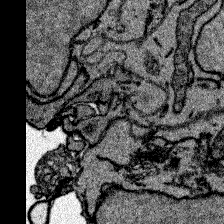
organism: Zebrafish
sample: Larval olfactory bulb